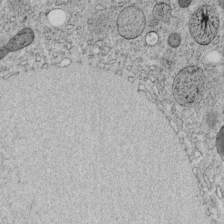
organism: C. elegans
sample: C. elegans embryo early stage